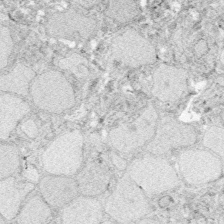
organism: Zebrafish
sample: Whole-Brain